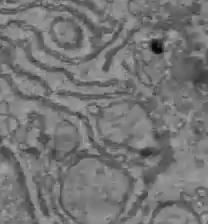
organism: C57BL Mouse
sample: Liver